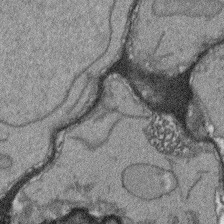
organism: Arabidopsis thaliana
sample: Root tip